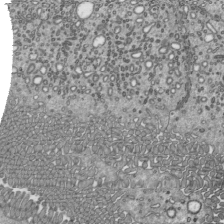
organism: Mouse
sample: Mouse epididymis efferent ductule cilia